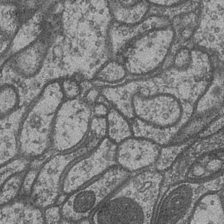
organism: Drosophila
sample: Optic medulla